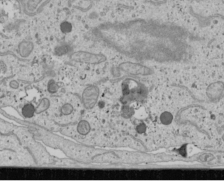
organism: Human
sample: Mitochondria in U2OS cells